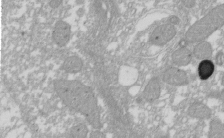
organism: Xenopus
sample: Cilia; centrioles in frog embryo cells